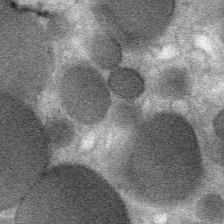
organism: Mouse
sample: Mouse Salivary gland